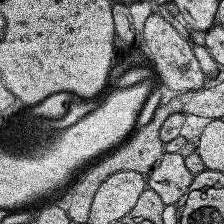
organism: Human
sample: Temporal Lobe